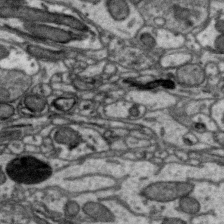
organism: Zebra finch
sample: Brain